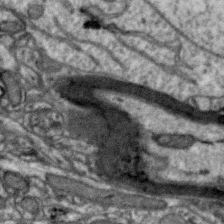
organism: Zebra finch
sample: Brain